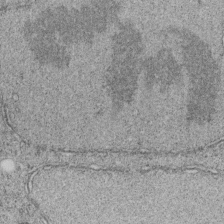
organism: C. elegans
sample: C. elegans embryo early stage